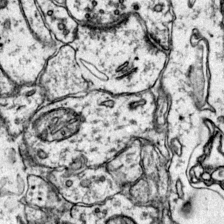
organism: Mouse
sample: Primary visual cortex